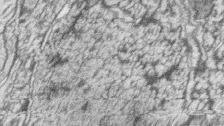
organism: Zebrafish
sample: synaptic ribbons in rod cells and cone cells